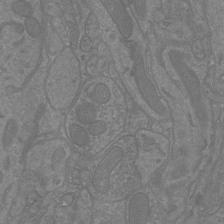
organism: Mouse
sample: Cortical neurons